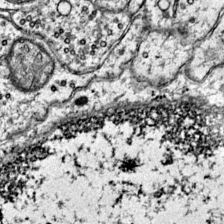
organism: Mouse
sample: Primary visual cortex